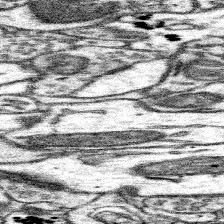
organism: Mouse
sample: Somatosensory cortex neuropil